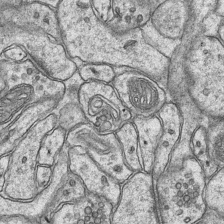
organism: Mouse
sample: CA1 Hippocampus